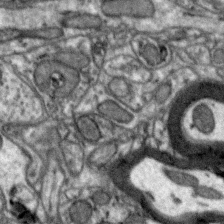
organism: Zebra finch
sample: Brain